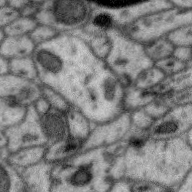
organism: Zebra finch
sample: Brain